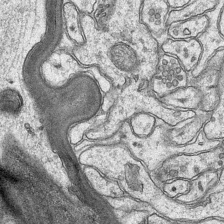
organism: Mouse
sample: CA1 Hippocampus